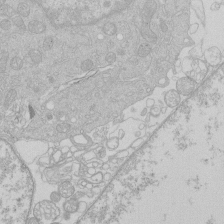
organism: Human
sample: Macrophage cells